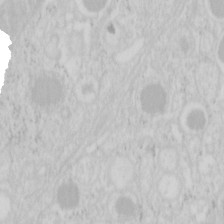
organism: Mouse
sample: Pancreas